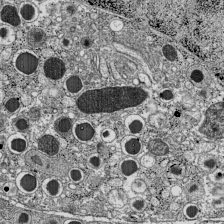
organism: C57BL Mouse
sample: Pancreatic islet